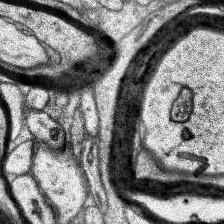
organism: Human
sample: Temporal Lobe